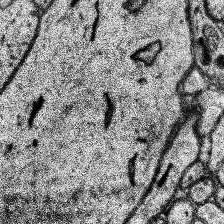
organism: Human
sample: Temporal Lobe